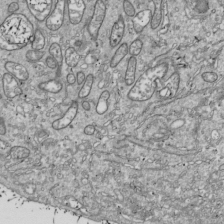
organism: Drosophila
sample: Cell division; meiosis; drosophila spermatocytes